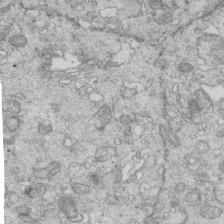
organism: Mouse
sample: Multiciliated cells